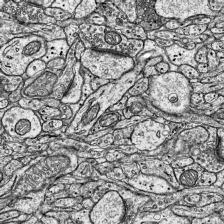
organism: Mouse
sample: Visual Cortex